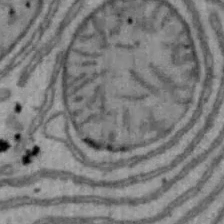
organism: Mouse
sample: Liver